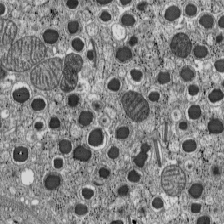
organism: C57BL Mouse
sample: Pancreatic islet